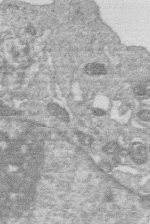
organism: Human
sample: Macrophage cells